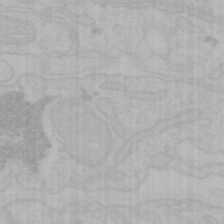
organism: Mouse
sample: Choroid plexus